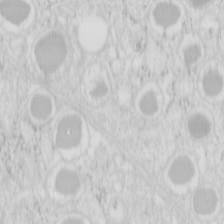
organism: Mouse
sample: Pancreas